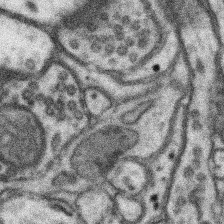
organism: Mouse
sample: Somatosensory cortex neuropil